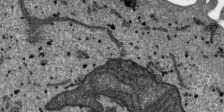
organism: Human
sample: Lung epithelial cells, uninfected (mock) control